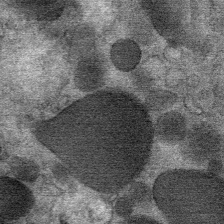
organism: Mouse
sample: Mouse Salivary gland